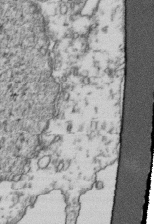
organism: Human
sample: Activated Jurkat CD4+ T cells